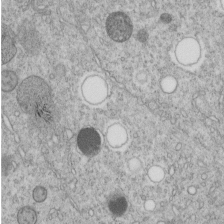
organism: C. elegans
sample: C. elegans embryo early stage